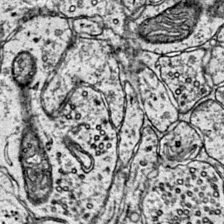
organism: Mouse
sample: Primary visual cortex